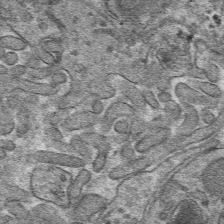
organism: Mouse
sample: Mouse hepatocytes